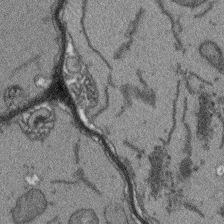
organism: Arabidopsis thaliana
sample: Root tip